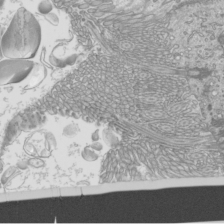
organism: Mouse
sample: Cilia; mouse epididymis